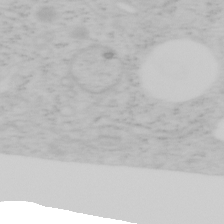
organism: Mouse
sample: OT-I killer T cells with ID8 ovarian cancer cells